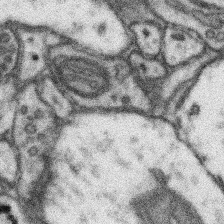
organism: Mouse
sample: Somatosensory cortex neuropil